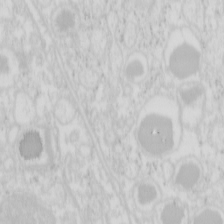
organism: Mouse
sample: Pancreas